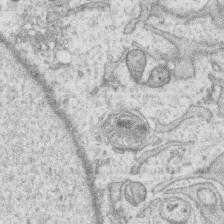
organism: Human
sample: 1205lu cells